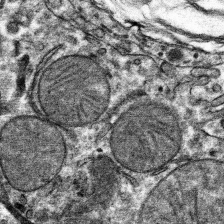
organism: Mouse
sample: Mouse hepatocytes